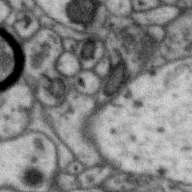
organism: Zebra finch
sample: Brain